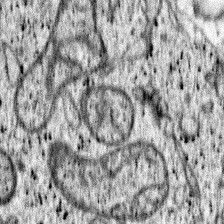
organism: Human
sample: HeLa cells